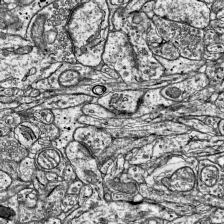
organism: Mouse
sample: Visual Cortex